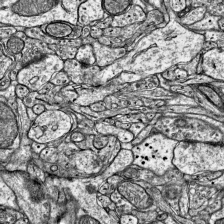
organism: Mouse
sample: Visual Cortex